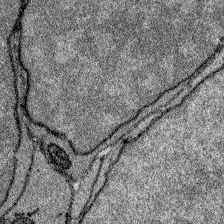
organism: Zebrafish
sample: Larval olfactory bulb